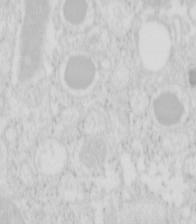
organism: Mouse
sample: Pancreas